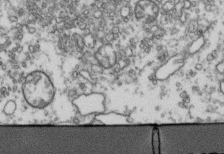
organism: Human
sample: Activated Jurkat CD4+ T cells